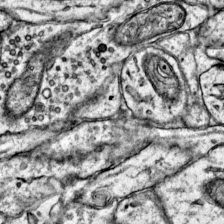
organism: Mouse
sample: Primary visual cortex